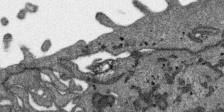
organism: Human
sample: Lung epithelial cells, uninfected (mock) control